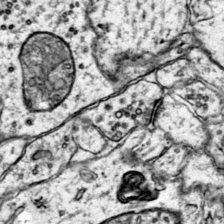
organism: Mouse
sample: Primary visual cortex